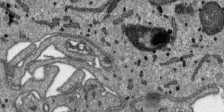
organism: Human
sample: Lung epithelial cells, uninfected (mock) control